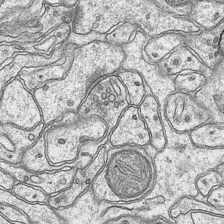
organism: Mouse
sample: CA1 Hippocampus